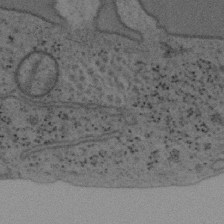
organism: Human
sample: HeLa cells